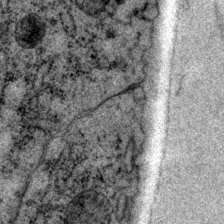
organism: P. pacificus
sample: Pharynx